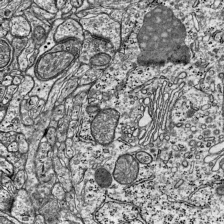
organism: Mouse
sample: Visual Cortex